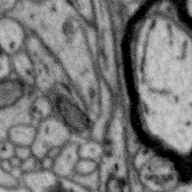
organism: Zebra finch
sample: Brain